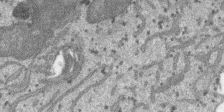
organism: Human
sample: Lung epithelial cells infected with SARS-CoV-2